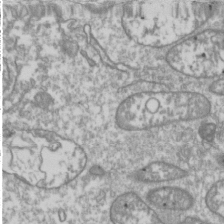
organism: Drosophila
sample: Cell division; meiosis; drosophila spermatocytes